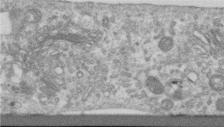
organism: Human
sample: Centriole in RPE cells